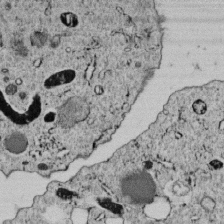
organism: C. elegans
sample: C. elegans embryo early stage